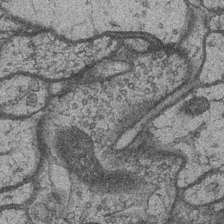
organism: Drosophila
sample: Optic medulla